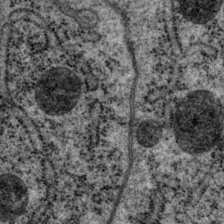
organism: P. pacificus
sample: Pharynx